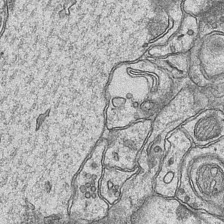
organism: Mouse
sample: CA1 Hippocampus